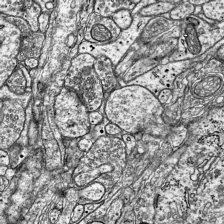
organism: Mouse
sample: Visual Cortex